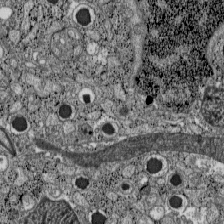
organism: C57BL Mouse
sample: Pancreatic islet